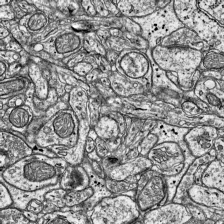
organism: Mouse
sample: Visual Cortex